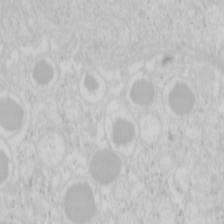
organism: Mouse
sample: Pancreas